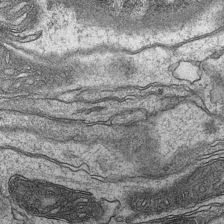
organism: Mouse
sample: CA1 Hippocampus